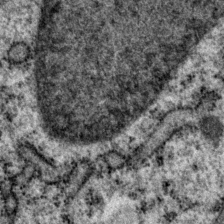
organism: P. pacificus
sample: Pharynx